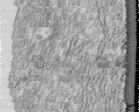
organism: Human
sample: Centriole in fibroblast cells